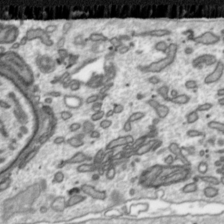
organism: Toxoplasma gondii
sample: Parasites in a vacuole inside a host cell